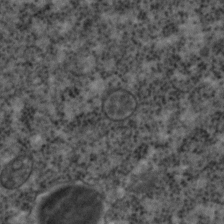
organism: C. elegans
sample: C. elegans embryo